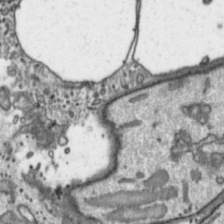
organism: Toxoplasma gondii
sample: Parasites in a vacuole inside a host cell